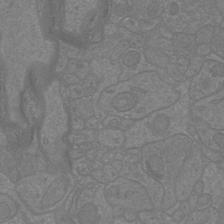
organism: Mouse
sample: Cortical neurons